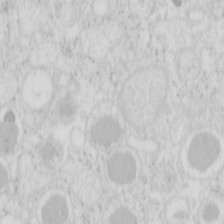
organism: Mouse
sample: Pancreas